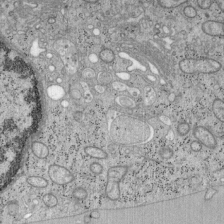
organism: Mouse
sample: OT-I killer T cells with ID8 ovarian cancer cells